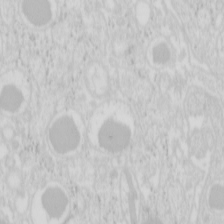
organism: Mouse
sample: Pancreas